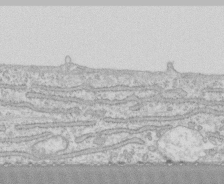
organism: Human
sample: CRL-1474